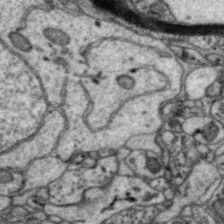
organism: Zebra finch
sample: Brain